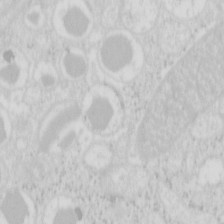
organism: Mouse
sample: Pancreas